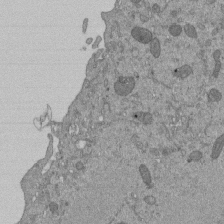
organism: Mouse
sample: ED-1 cell nuclei; centrioles